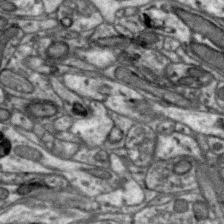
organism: Zebra finch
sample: Brain